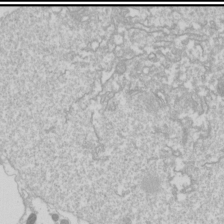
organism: Drosophila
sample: Cell division; meiosis; drosophila spermatocytes